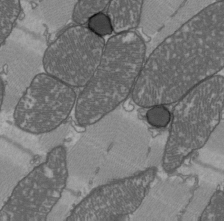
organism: C57BL Mouse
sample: Heart